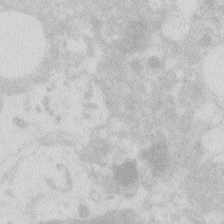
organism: Zebrafish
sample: Macrophage